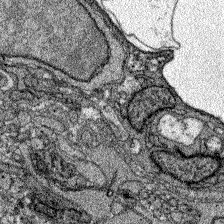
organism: Zebrafish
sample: Larval olfactory bulb